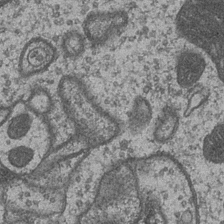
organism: Drosophila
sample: Optic medulla